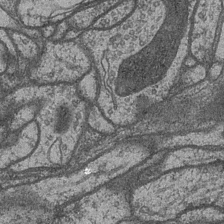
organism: Drosophila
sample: Optic medulla